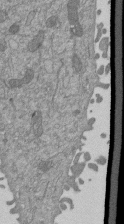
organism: Mouse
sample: ED-1 cell nuclei; centrioles